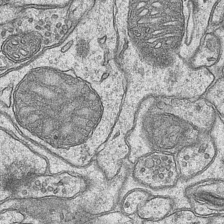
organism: Mouse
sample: CA1 Hippocampus